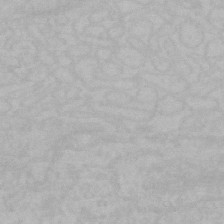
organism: Mouse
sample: Choroid plexus